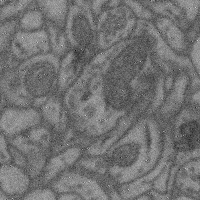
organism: Mouse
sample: Cerebral cortex